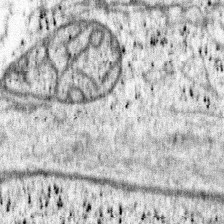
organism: Human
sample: HeLa cells